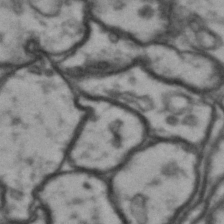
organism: Drosophila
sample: Brain